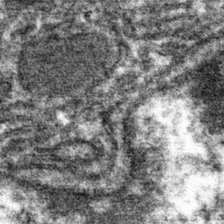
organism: Mouse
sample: Mouse hepatocytes